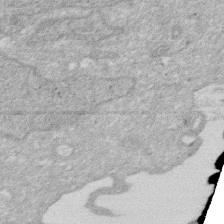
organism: Human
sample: HIV infected U937 cells